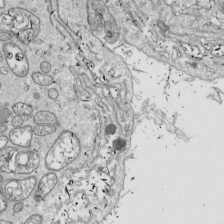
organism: Drosophila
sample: Cell division; meiosis; drosophila spermatocytes